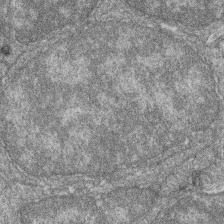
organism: Zebrafish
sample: Cilia; retinal pigment epithelium